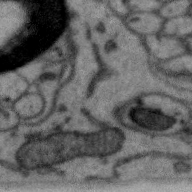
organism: Zebra finch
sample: Brain